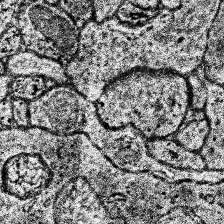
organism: Human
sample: Temporal Lobe